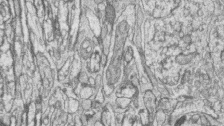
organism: Zebrafish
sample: synaptic ribbons in rod cells and cone cells